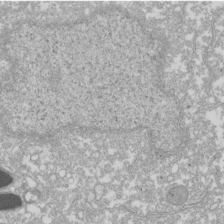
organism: Xenopus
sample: Cilia; centrioles in frog embryo cells